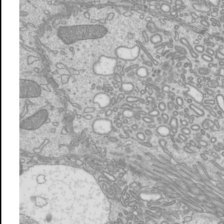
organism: Mouse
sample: Cilia; mouse epididymis